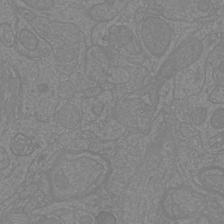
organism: Mouse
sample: Cortical neurons